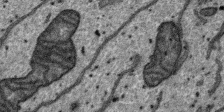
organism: Human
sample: Lung epithelial cells, uninfected (mock) control